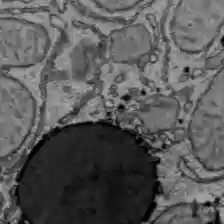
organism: C57BL Mouse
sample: Liver